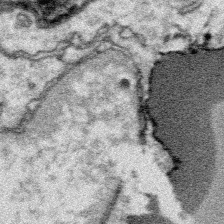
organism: Platynereis dumerilii